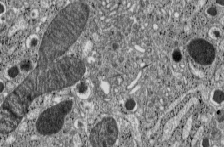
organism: C57BL Mouse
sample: Pancreatic islet